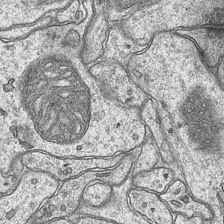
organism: Mouse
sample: CA1 Hippocampus